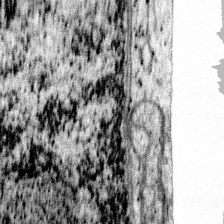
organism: Human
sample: HeLa cells